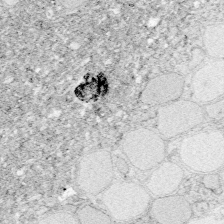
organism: Zebrafish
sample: Whole-Brain